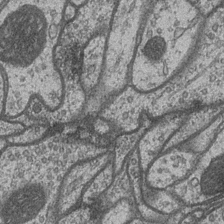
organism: Drosophila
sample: Optic medulla